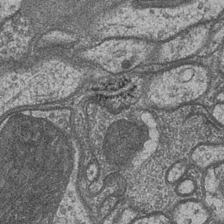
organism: Drosophila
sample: Optic medulla